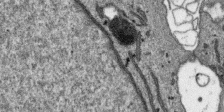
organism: Human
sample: Lung epithelial cells, uninfected (mock) control